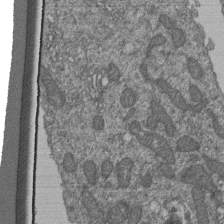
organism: Human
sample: Retinal organoid Rod and Cone cells